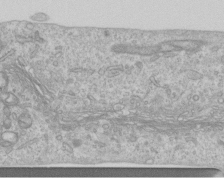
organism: Human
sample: Centriole in RPE cells